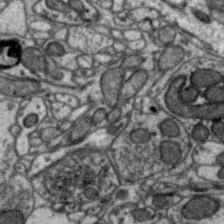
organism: Zebra finch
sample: Brain